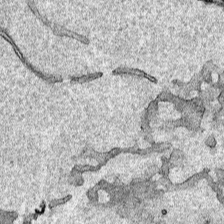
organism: Human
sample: Mitochondria in HCT116 cells